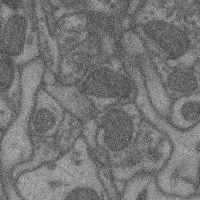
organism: Mouse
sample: Cerebral cortex